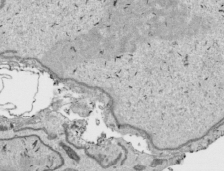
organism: Human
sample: Mitochondria in HCT116 cells